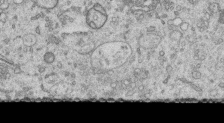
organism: Human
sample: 1205lu cells